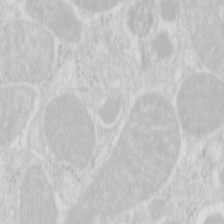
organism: Mouse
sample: Pancreas